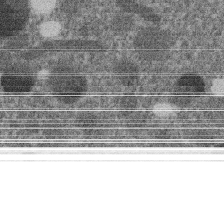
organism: C. elegans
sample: C. elegans embryo early stage